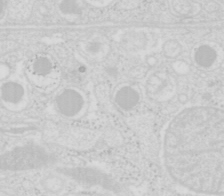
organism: Mouse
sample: Pancreas